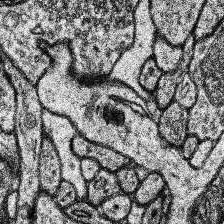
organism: Human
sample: Temporal Lobe